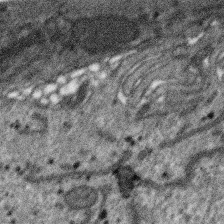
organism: Human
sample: Lung epithelial cells infected with SARS-CoV-2